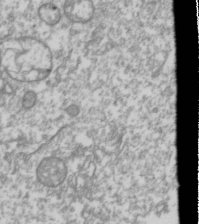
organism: Drosophila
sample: Cell division; meiosis; drosophila spermatocytes